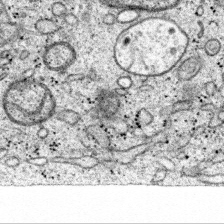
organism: Human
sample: HeLa cells